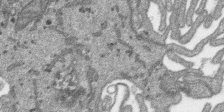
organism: Human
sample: Lung epithelial cells infected with SARS-CoV-2